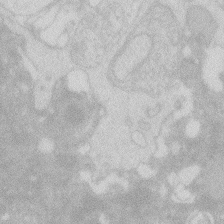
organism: Zebrafish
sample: Macrophage